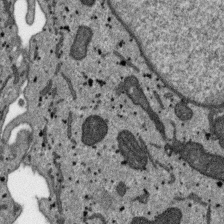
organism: Human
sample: Lung epithelial cells, uninfected (mock) control